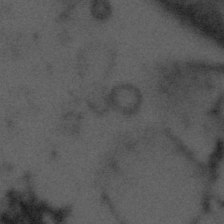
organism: Tuwongella immobilis